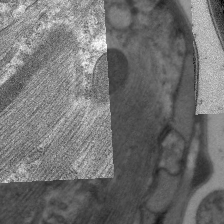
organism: C. elegans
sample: Pharynx